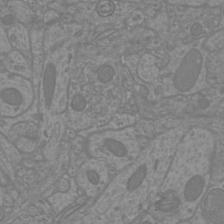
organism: Mouse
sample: Cortical neurons